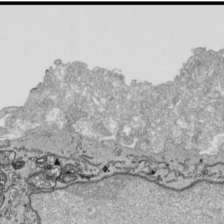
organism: Human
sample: Mitochondria in HCT116 cells